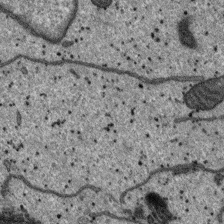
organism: Human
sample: Lung epithelial cells, uninfected (mock) control